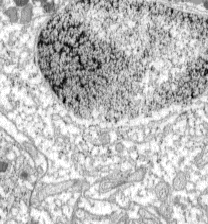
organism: C57BL Mouse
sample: Pancreatic islet